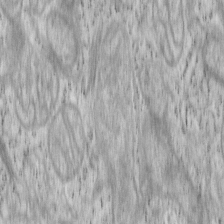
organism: Human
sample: HeLa cells